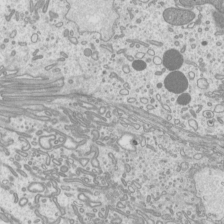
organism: Mouse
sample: Cilia; mouse epididymis